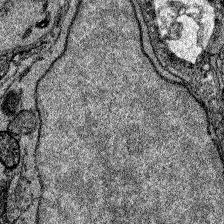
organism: Zebrafish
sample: Larval olfactory bulb